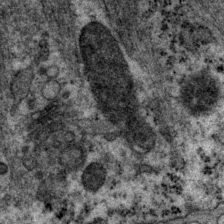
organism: P. pacificus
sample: Pharynx